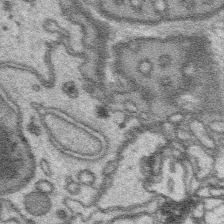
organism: Platynereis dumerilii